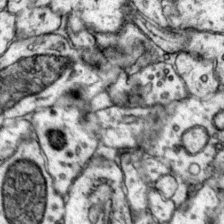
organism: Mouse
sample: Primary visual cortex